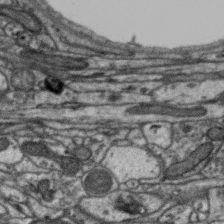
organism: Zebra finch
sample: Brain